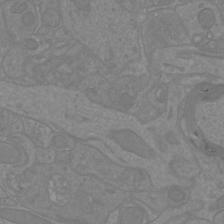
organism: Mouse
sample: Cortical neurons